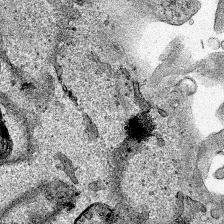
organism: Human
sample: Mitochondria in HCT116 cells